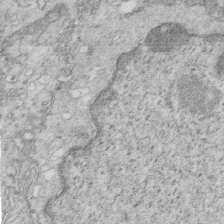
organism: Mouse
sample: Multiciliated cells